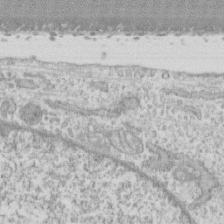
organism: Human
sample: CRL-1474